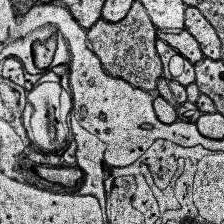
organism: Human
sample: Temporal Lobe